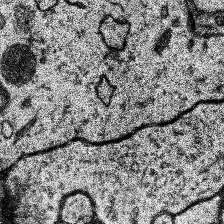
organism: Human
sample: Temporal Lobe